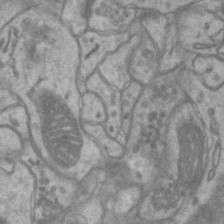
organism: Mouse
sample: CA1 Hippocampus